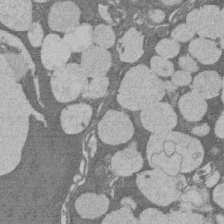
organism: Rat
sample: Salivary granule